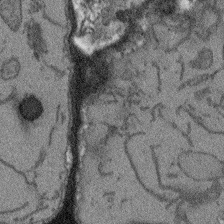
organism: Arabidopsis thaliana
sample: Root tip